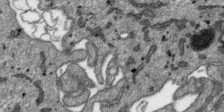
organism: Human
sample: Lung epithelial cells, uninfected (mock) control